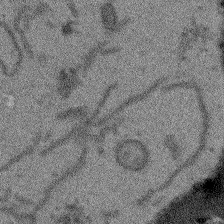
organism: Arabidopsis thaliana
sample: Root tip